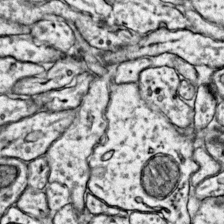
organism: Mouse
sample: Primary visual cortex